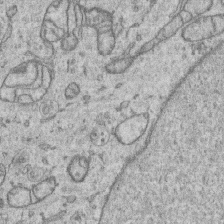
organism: Human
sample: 1205lu cells